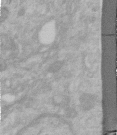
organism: Human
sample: Centriole in RPE cells